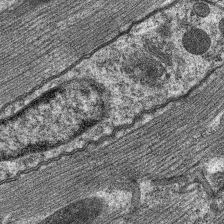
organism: C. elegans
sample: Pharynx